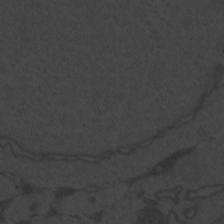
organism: Zebrafish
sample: Macrophage infected with Toxoplasma gondii